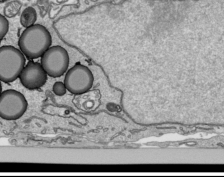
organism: Human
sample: Mitochondria in HCT116 cells